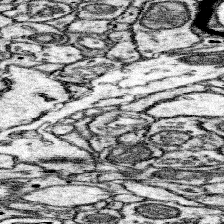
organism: Mouse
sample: Somatosensory cortex neuropil